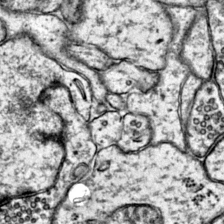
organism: Mouse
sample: Primary visual cortex